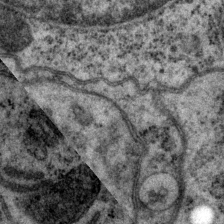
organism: P. pacificus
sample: Pharynx